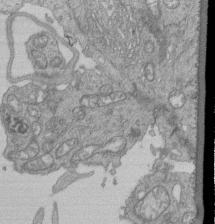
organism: Human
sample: Retinal organoid Rod and Cone cells